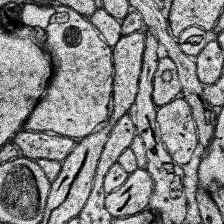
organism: Human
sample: Temporal Lobe